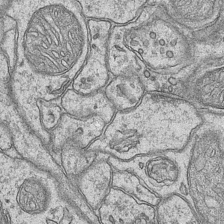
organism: Mouse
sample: CA1 Hippocampus